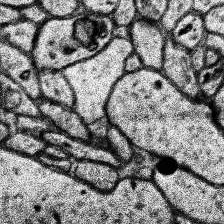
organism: Human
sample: Temporal Lobe